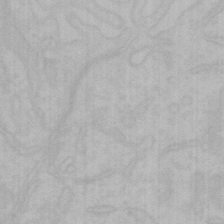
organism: Mouse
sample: Choroid plexus